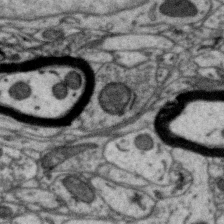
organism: Zebra finch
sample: Brain